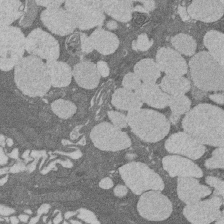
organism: Rat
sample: Salivary granule